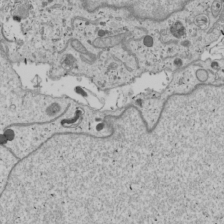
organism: Human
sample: Mitochondria in U2OS cells